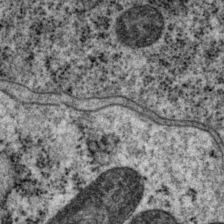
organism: P. pacificus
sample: Pharynx